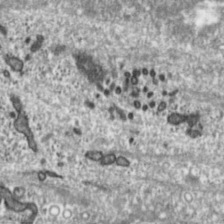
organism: Toxoplasma gondii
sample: Parasites in a vacuole inside a host cell